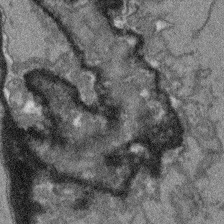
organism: Arabidopsis thaliana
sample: Root tip